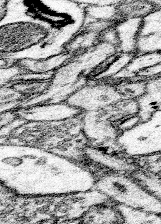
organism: Mouse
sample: Somatosensory cortex neuropil